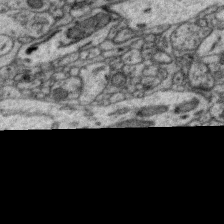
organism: Zebra finch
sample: Brain